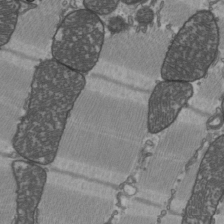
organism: C57BL Mouse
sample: Heart